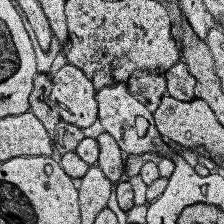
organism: Human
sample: Temporal Lobe